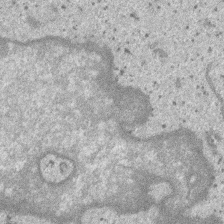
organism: Human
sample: Lung epithelial cells infected with SARS-CoV-2